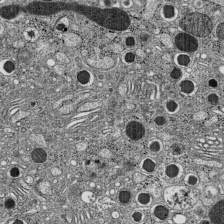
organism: C57BL Mouse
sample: Pancreatic islet